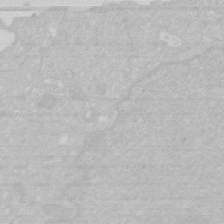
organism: Human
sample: HIV infected U937 cells